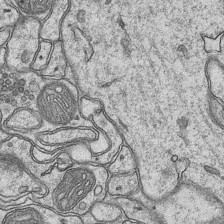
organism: Mouse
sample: CA1 Hippocampus